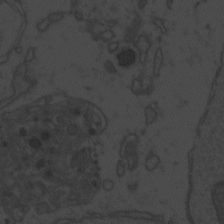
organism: Zebrafish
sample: Macrophage infected with Toxoplasma gondii